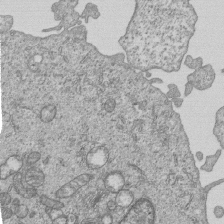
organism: Human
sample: MDA-MB-231 cells